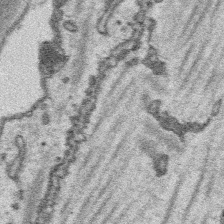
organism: Platynereis dumerilii